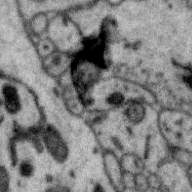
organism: Zebra finch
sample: Brain